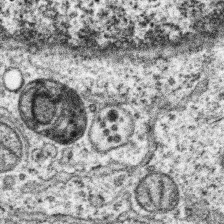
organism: Human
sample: HeLa cells